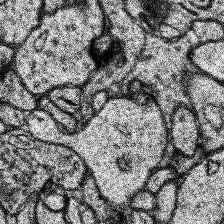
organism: Human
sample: Temporal Lobe